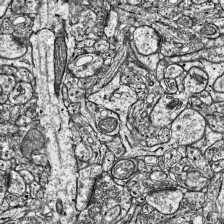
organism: Mouse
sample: Visual Cortex